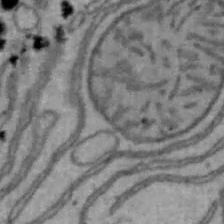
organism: Mouse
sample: Liver